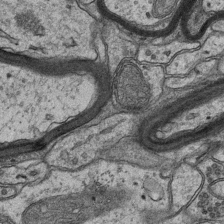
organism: Mouse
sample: CA1 Hippocampus